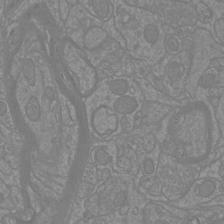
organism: Mouse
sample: Cortical neurons